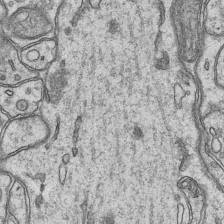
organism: Mouse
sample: CA1 Hippocampus